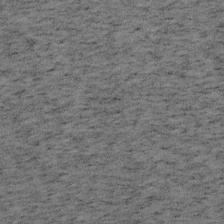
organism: Mouse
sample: OT-I killer T cells with ID8 ovarian cancer cells